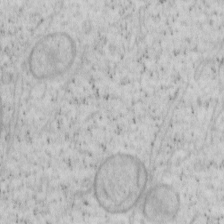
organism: Human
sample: HeLa cells